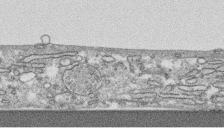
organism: Human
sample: CRL-1474